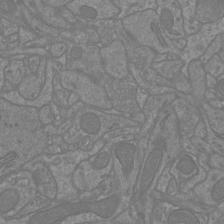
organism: Mouse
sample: Cortical neurons